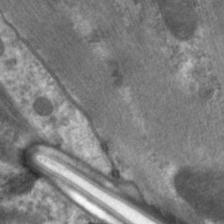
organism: C. elegans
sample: Pharynx